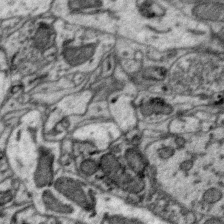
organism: Zebra finch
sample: Brain